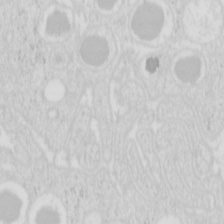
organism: Mouse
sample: Pancreas